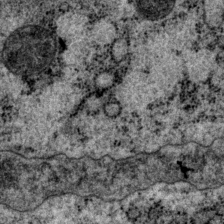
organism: P. pacificus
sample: Pharynx